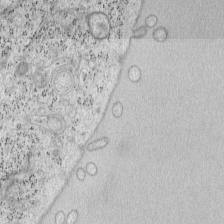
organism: Mouse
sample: OT-I killer T cells with ID8 ovarian cancer cells